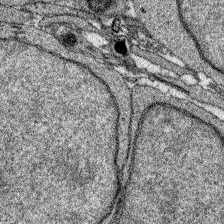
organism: Zebrafish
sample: Larval olfactory bulb